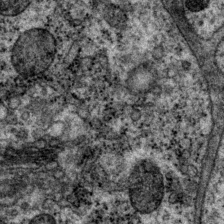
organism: P. pacificus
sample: Pharynx